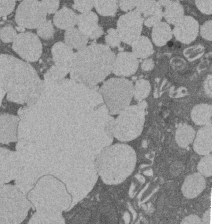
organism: Rat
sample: Salivary granule